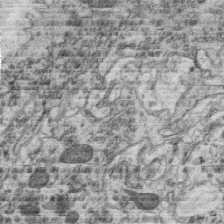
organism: C. elegans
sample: C. elegans oocyte; sperm cells